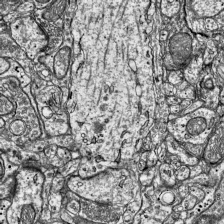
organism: Mouse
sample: Visual Cortex